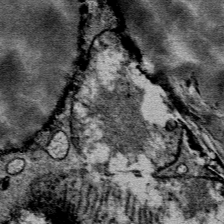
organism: Mouse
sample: Mouse Salivary gland